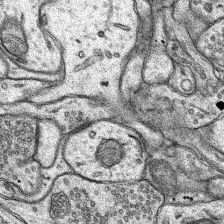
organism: Rat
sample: Hippocampus